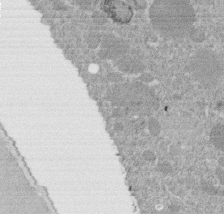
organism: C. elegans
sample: C. elegans embryo early stage